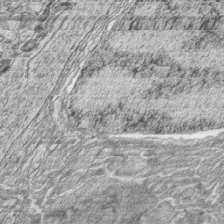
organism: Zebrafish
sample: synaptic ribbons in rod cells and cone cells